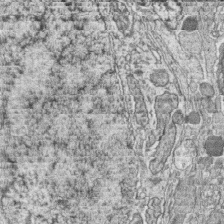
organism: Zebrafish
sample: synaptic ribbons in rod cells and cone cells